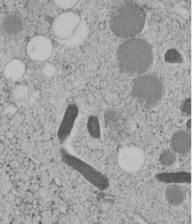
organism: C. elegans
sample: C. elegans embryo early stage